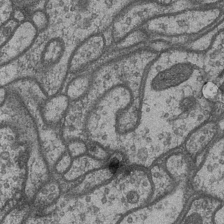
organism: Drosophila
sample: Optic medulla